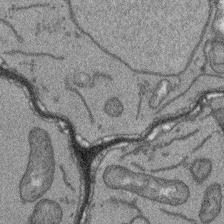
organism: Arabidopsis thaliana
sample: Root tip